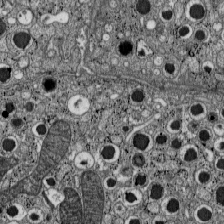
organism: C57BL Mouse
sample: Pancreatic islet